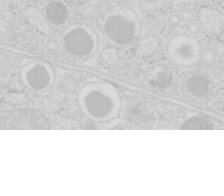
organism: Mouse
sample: Pancreas